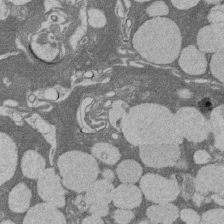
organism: Rat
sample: Salivary granule